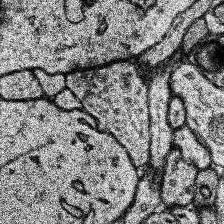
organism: Human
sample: Temporal Lobe